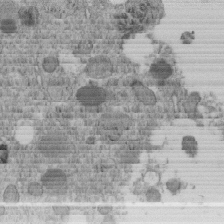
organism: C. elegans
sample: C. elegans embryo early stage